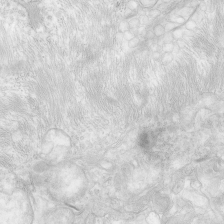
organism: Human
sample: Neocortex